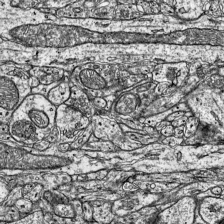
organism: Mouse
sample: Visual Cortex